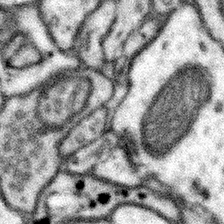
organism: Mouse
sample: Somatosensory cortex neuropil